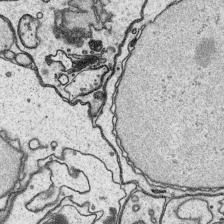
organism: Platynereis dumerilii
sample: Parapodia